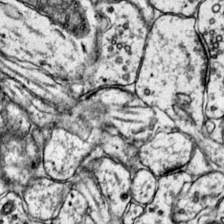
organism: Mouse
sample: Primary visual cortex